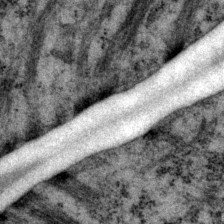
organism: P. pacificus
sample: Pharynx